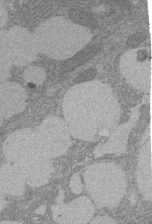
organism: Rat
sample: Salivary granule